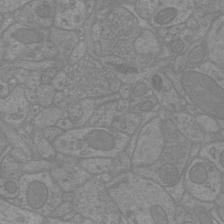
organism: Mouse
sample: Cortical neurons